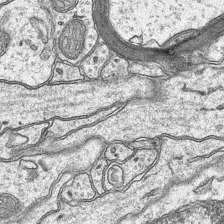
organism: Mouse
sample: CA1 Hippocampus